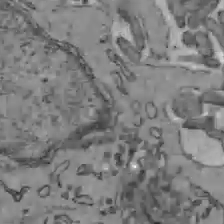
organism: C57BL Mouse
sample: Liver